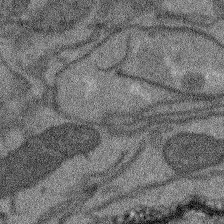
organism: Arabidopsis thaliana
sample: Root tip